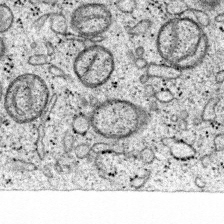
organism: Human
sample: HeLa cells